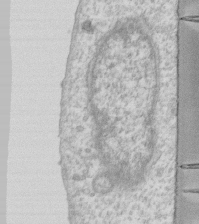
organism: Human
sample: Fibroblast cells